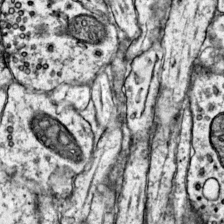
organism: Mouse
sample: Primary visual cortex